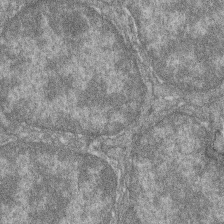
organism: Zebrafish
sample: Cilia; retinal pigment epithelium